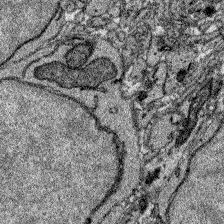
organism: Zebrafish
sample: Larval olfactory bulb